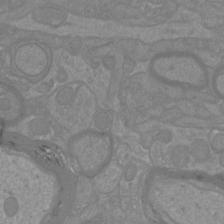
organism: Mouse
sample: Cortical neurons